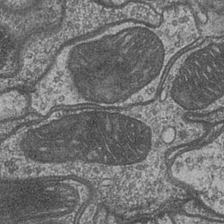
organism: Drosophila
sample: Optic medulla